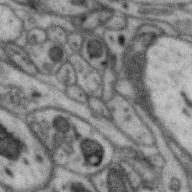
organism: Zebra finch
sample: Brain